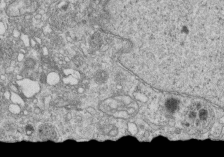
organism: Human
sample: HeLa cell HIV synapse